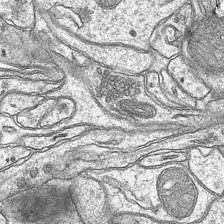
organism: Mouse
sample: CA1 Hippocampus